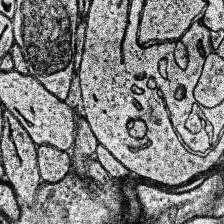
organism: Human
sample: Temporal Lobe